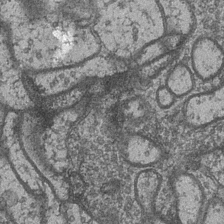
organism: Drosophila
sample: Optic medulla